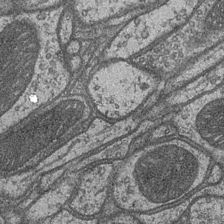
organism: Drosophila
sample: Optic medulla